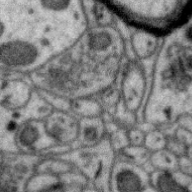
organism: Zebra finch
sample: Brain